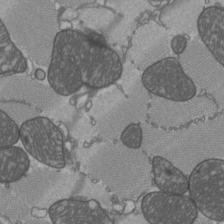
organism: C57BL Mouse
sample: Heart